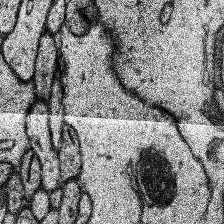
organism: Human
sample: Temporal Lobe